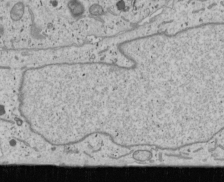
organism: Human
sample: Mitochondria in U2OS cells